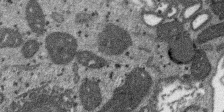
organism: Human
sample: Lung epithelial cells infected with SARS-CoV-2